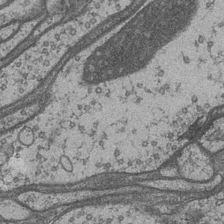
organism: Drosophila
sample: Optic medulla